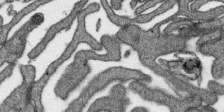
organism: Human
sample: Lung epithelial cells, uninfected (mock) control